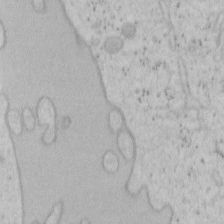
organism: Human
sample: HeLa cells